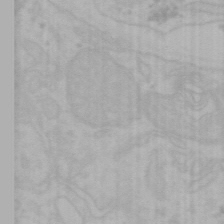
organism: Mouse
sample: Choroid plexus